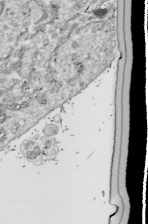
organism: Drosophila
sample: Cell division; meiosis; drosophila spermatocytes